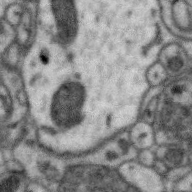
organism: Zebra finch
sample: Brain